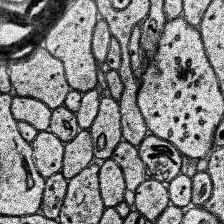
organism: Human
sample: Temporal Lobe